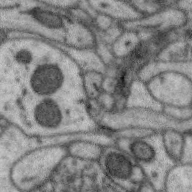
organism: Zebra finch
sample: Brain